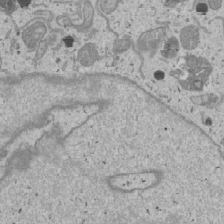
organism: Human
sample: Mitochondria in U2OS cells